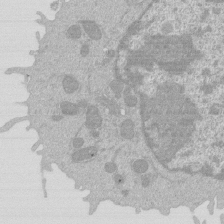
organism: Mouse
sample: Activated Pmel transgenic CD8+ T Cells